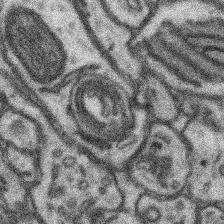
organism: Mouse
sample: Somatosensory cortex neuropil